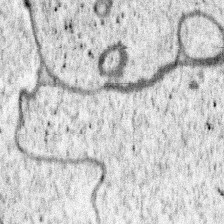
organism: Human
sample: HeLa cells